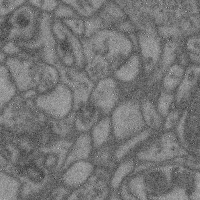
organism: Mouse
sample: Cerebral cortex